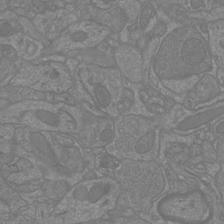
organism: Mouse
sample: Cortical neurons